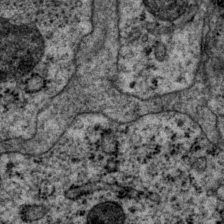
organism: P. pacificus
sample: Pharynx